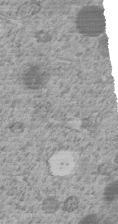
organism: C. elegans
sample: C. elegans embryo early stage